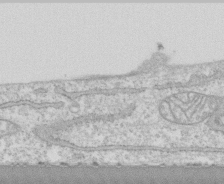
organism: Human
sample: CRL-1474